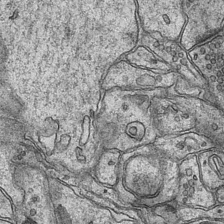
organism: Mouse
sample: CA1 Hippocampus